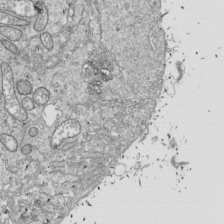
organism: Drosophila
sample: Cell division; meiosis; drosophila spermatocytes